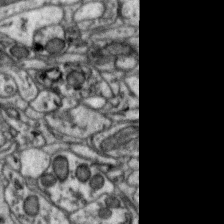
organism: Zebra finch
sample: Brain